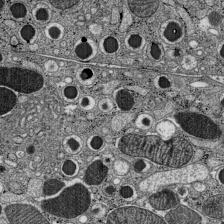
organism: C57BL Mouse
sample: Pancreatic islet